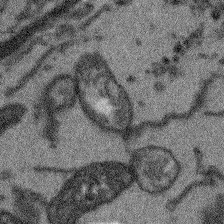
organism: Arabidopsis thaliana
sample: Root tip